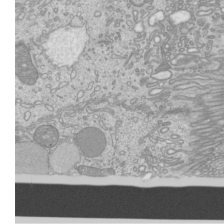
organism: Mouse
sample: Cilia; mouse epididymis